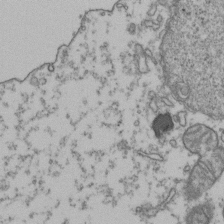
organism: Human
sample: Activated Jurkat CD4+ T cells